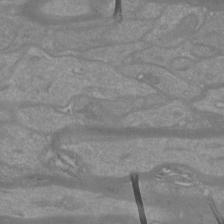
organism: Mouse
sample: Cortical neurons